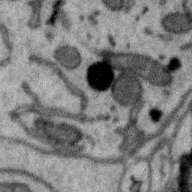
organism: Zebra finch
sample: Brain